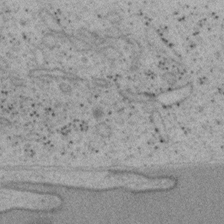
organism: Human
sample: HeLa cells